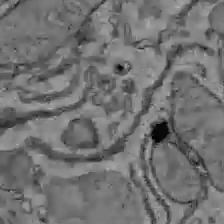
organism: C57BL Mouse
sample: Liver